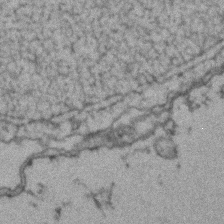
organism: Zebrafish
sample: Zebrafish embryo